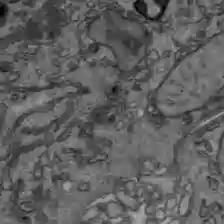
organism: C57BL Mouse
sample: Liver